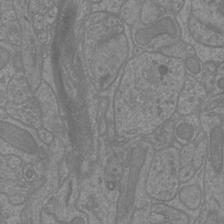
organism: Mouse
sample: Cortical neurons